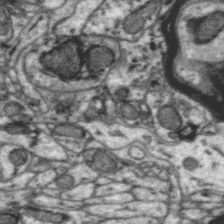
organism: Zebra finch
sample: Brain